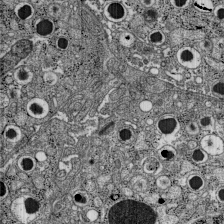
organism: C57BL Mouse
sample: Pancreatic islet